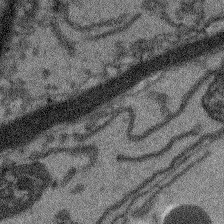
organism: Arabidopsis thaliana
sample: Root tip